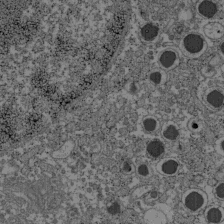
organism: C57BL Mouse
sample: Pancreatic islet